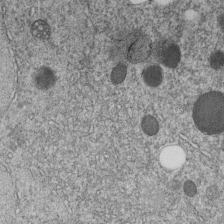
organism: C. elegans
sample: C. elegans embryo early stage